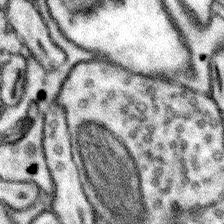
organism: Mouse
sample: Somatosensory cortex neuropil